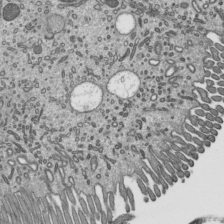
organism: Mouse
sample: Mouse epididymis efferent ductule cilia